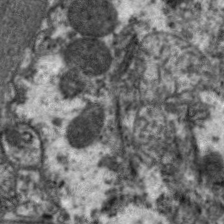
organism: C. elegans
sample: Pharynx